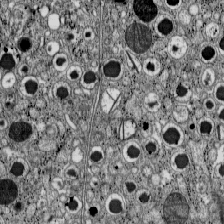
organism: C57BL Mouse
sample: Pancreatic islet